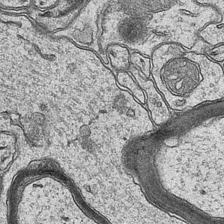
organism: Mouse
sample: CA1 Hippocampus